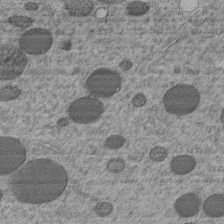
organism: C. elegans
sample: C. elegans embryo early stage